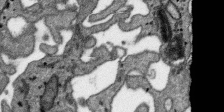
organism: Human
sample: Lung epithelial cells, uninfected (mock) control